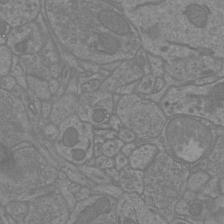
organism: Mouse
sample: Cortical neurons